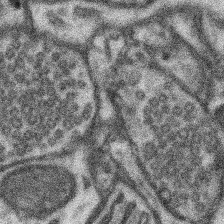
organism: Mouse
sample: Somatosensory cortex neuropil